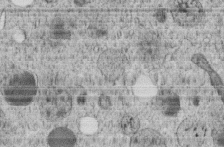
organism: C. elegans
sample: C. elegans embryo early stage